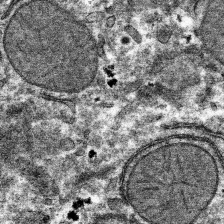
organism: Mouse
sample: Mouse hepatocytes